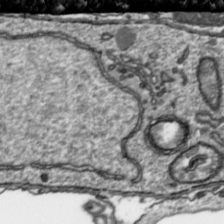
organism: Toxoplasma gondii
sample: Parasites in a vacuole inside a host cell